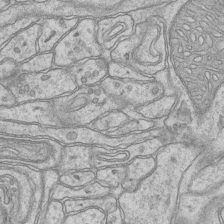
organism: Mouse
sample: CA1 Hippocampus